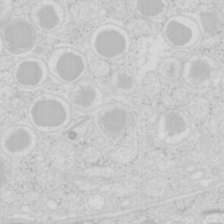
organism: Mouse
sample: Pancreas